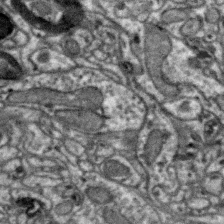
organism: Zebra finch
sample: Brain